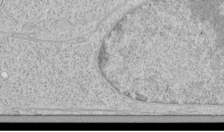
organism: Human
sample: Mitochondria in HCT116 cells